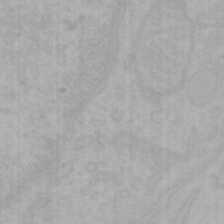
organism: Mouse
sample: Choroid plexus